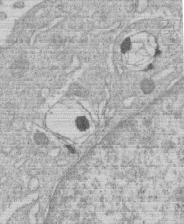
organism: Human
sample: Macrophage cells